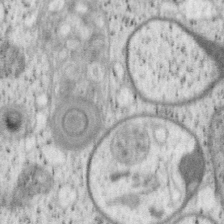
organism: Mouse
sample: OT-I killer T cells with ID8 ovarian cancer cells